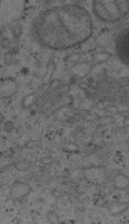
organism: Human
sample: HeLa cells